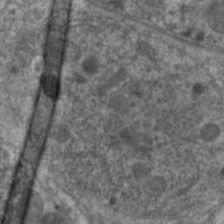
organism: C. elegans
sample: Pharynx